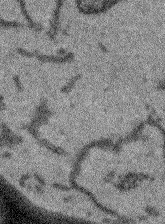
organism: Arabidopsis thaliana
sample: Root tip